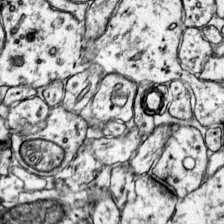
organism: Mouse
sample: Primary visual cortex